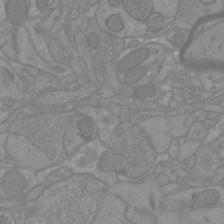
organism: Mouse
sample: Cortical neurons